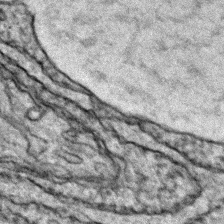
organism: Zebrafish